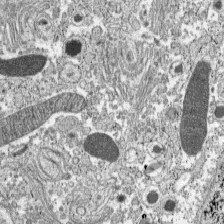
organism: C57BL Mouse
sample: Pancreatic islet